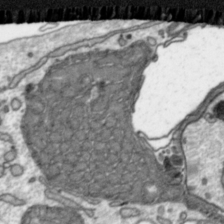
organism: Toxoplasma gondii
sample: Parasites in a vacuole inside a host cell